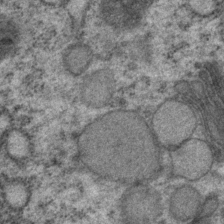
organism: P. pacificus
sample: Pharynx